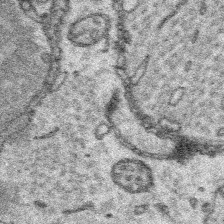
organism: Platynereis dumerilii